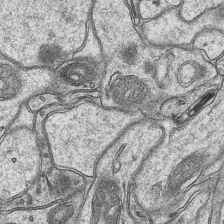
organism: Mouse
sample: CA1 Hippocampus